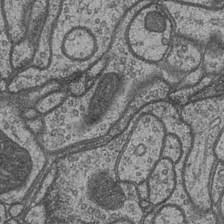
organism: Drosophila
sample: Optic medulla